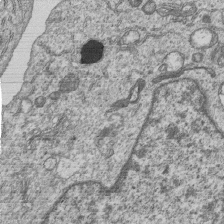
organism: Human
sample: MDA-MB-231 cells